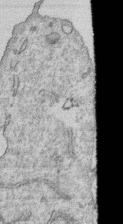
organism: Human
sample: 1205lu cells